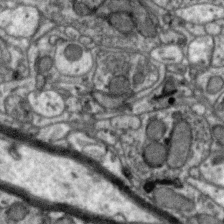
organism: Zebra finch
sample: Brain